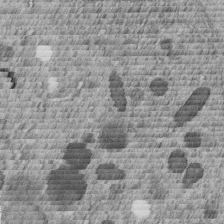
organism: C. elegans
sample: C. elegans embryo early stage